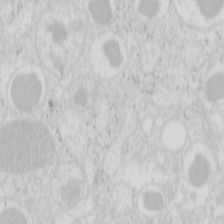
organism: Mouse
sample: Pancreas